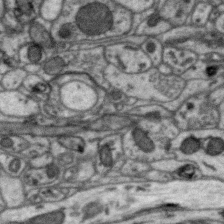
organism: Zebra finch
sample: Brain